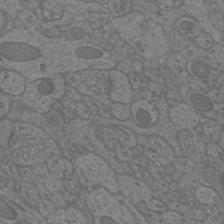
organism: Mouse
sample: Cortical neurons